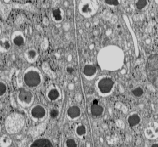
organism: C57BL Mouse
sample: Pancreatic islet